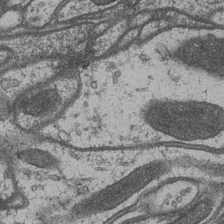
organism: Drosophila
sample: Optic medulla